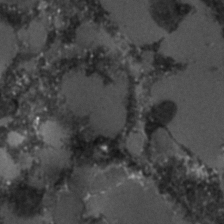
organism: C. elegans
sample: C. elegans embryo